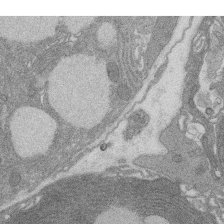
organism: Rat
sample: Salivary granule